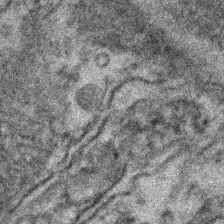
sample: Kidney